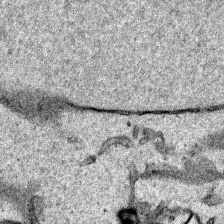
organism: Human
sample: Mitochondria in HCT116 cells